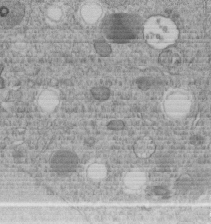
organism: C. elegans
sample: C. elegans embryo early stage